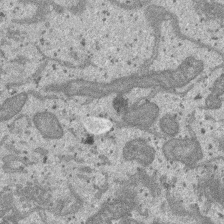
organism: Human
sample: Lung epithelial cells infected with SARS-CoV-2